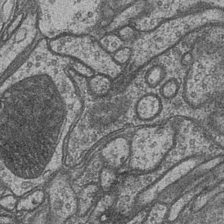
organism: Drosophila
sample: Optic medulla